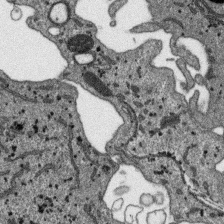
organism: Human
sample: Lung epithelial cells infected with SARS-CoV-2